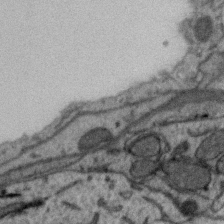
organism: Zebra finch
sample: Brain